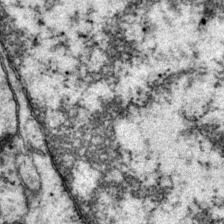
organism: Mouse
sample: Primary visual cortex